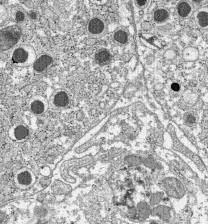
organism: C57BL Mouse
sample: Pancreatic islet